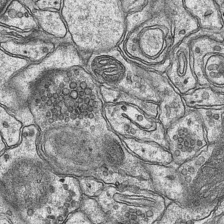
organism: Mouse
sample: CA1 Hippocampus